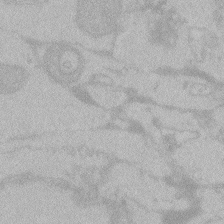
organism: Zebrafish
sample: Macrophage infected with Toxoplasma gondii